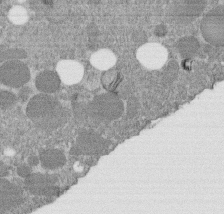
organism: C. elegans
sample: C. elegans embryo early stage